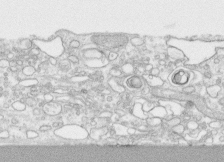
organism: Human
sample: CRL-1474